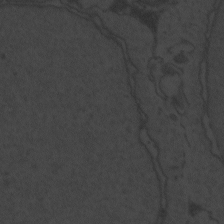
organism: Zebrafish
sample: Macrophage infected with Toxoplasma gondii